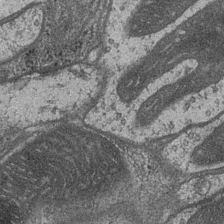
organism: Drosophila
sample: Optic medulla